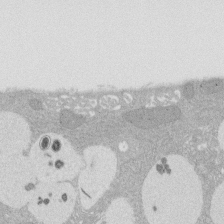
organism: Rat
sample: Salivary granule